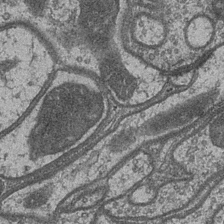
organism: Drosophila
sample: Optic medulla